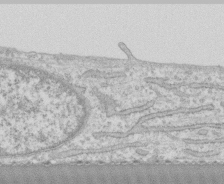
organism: Human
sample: CRL-1474